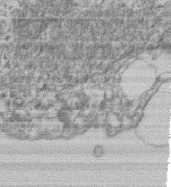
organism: Mouse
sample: T cell stromal cell synapse